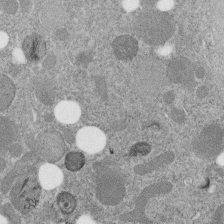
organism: C. elegans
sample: C. elegans embryo early stage